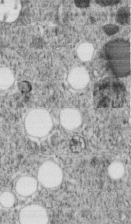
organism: C. elegans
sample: C. elegans embryo early stage